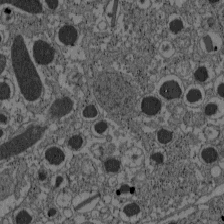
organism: C57BL Mouse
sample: Pancreatic islet